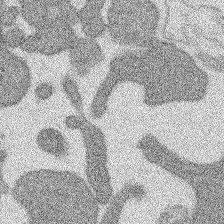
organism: Human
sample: HeLa cells